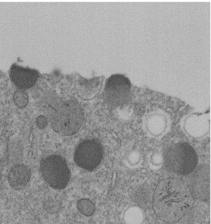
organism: C. elegans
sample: C. elegans embryo early stage